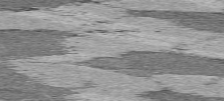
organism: C57BL Mouse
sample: Heart